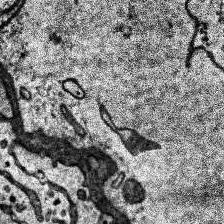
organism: Human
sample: Temporal Lobe